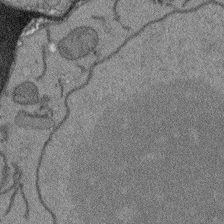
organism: Arabidopsis thaliana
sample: Root tip